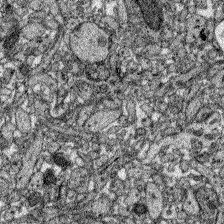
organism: Zebrafish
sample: Larval olfactory bulb